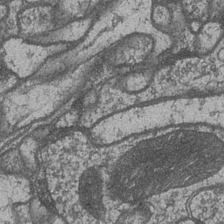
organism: Drosophila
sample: Optic medulla